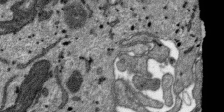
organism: Human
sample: Lung epithelial cells, uninfected (mock) control